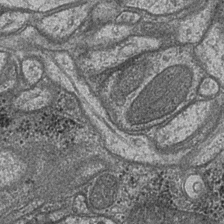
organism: Drosophila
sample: Optic medulla